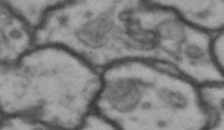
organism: Drosophila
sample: Brain